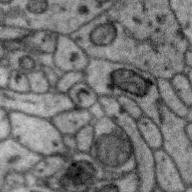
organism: Zebra finch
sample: Brain